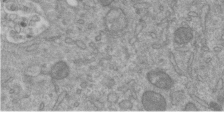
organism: Mouse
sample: ED-1 cell nuclei; centrioles